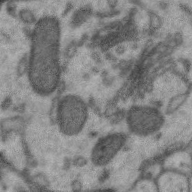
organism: Zebra finch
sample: Brain